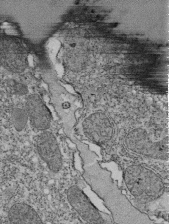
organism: Tetrahymena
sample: Cilia in tetrahymena